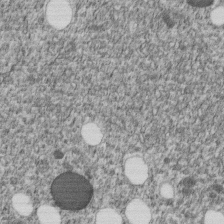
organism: C. elegans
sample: C. elegans embryo early stage